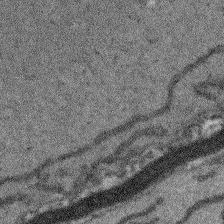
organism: Arabidopsis thaliana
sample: Root tip